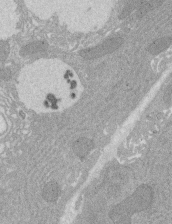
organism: Rat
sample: Salivary granule